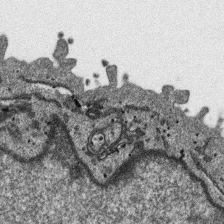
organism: Human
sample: Lung epithelial cells infected with SARS-CoV-2